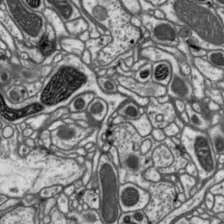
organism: Drosophila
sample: Protocerebral bridge